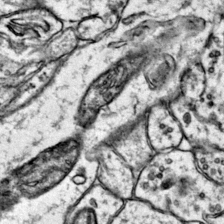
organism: Mouse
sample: Primary visual cortex